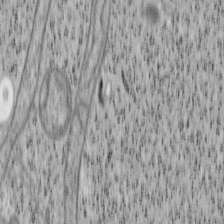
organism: Human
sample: HeLa cells